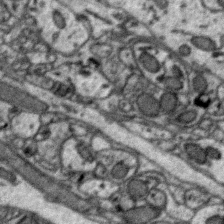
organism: Zebra finch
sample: Brain